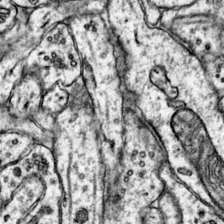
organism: Mouse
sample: Primary visual cortex